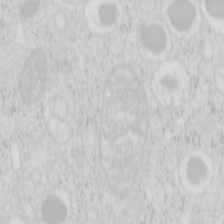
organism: Mouse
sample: Pancreas